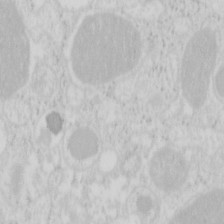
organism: Mouse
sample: Pancreas